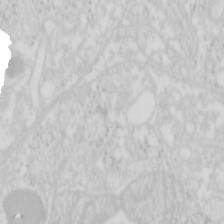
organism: Mouse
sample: Pancreas